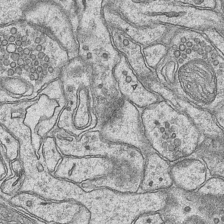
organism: Mouse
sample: CA1 Hippocampus